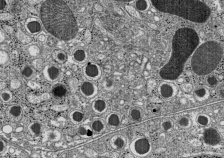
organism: C57BL Mouse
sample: Pancreatic islet